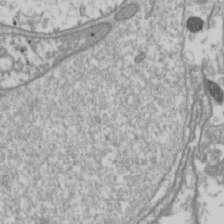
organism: Drosophila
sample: Cell division; meiosis; drosophila spermatocytes